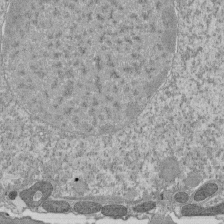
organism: Tetrahymena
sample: Cilia in tetrahymena